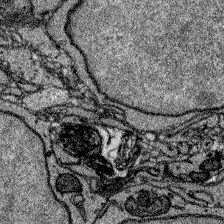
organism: Zebrafish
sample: Larval olfactory bulb